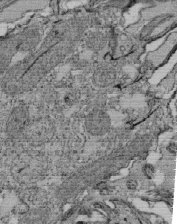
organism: Tetrahymena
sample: Cilia in tetrahymena